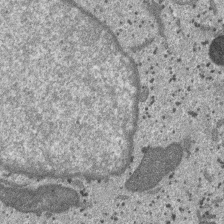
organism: Human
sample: Lung epithelial cells infected with SARS-CoV-2